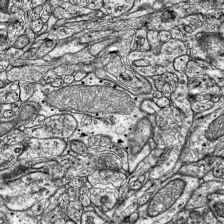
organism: Mouse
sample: Visual Cortex